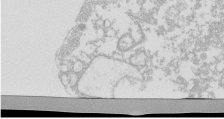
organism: Mouse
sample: Activated Pmel transgenic CD8+ T Cells